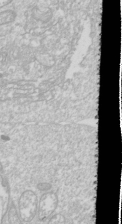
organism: Drosophila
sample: Cell division; meiosis; drosophila spermatocytes